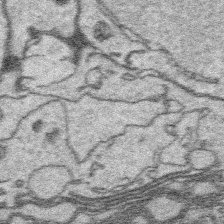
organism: Platynereis dumerilii